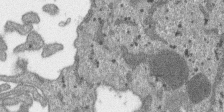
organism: Human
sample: Lung epithelial cells infected with SARS-CoV-2